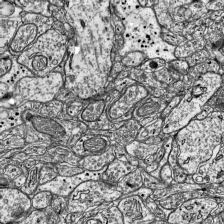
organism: Mouse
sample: Visual Cortex